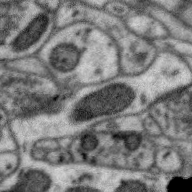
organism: Zebra finch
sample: Brain